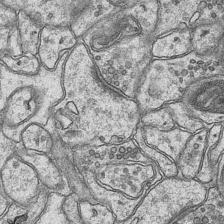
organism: Mouse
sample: CA1 Hippocampus